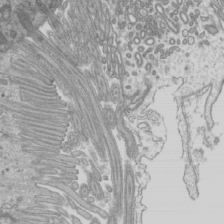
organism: Mouse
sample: Cilia; mouse epididymis